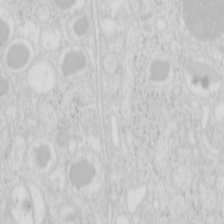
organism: Mouse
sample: Pancreas